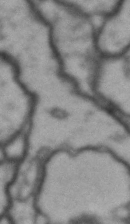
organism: Drosophila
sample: Brain